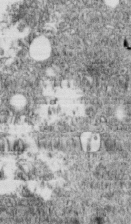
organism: C. elegans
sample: C. elegans embryo early stage